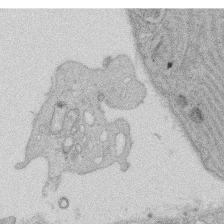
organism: Rat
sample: Salivary granule